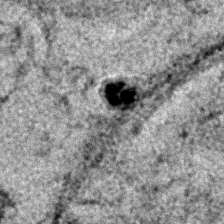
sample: Trachea